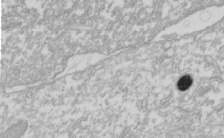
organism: Xenopus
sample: Cilia; centrioles in frog embryo cells